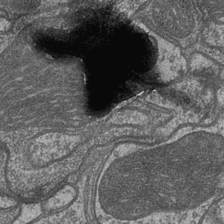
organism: Drosophila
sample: Optic medulla